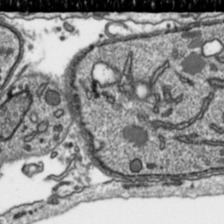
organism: Toxoplasma gondii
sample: Parasites in a vacuole inside a host cell